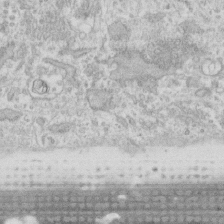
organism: Human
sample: Fibroblast cells